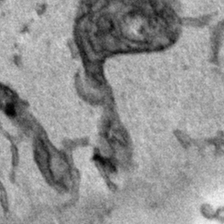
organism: Human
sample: Mitochondria in HCT116 cells